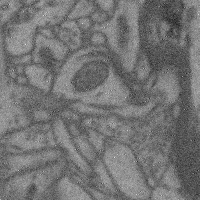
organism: Mouse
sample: Cerebral cortex